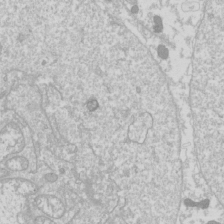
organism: Drosophila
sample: Cell division; meiosis; drosophila spermatocytes